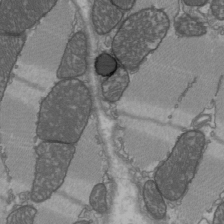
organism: C57BL Mouse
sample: Heart